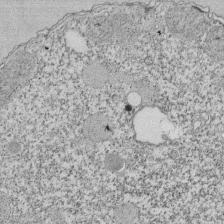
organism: Tetrahymena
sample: Cilia in tetrahymena